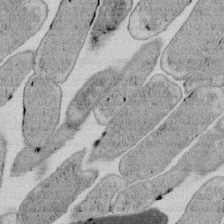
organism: E. coli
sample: Bacterial nucleoid